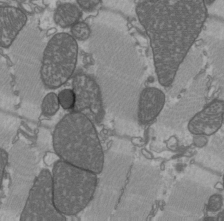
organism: C57BL Mouse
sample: Heart